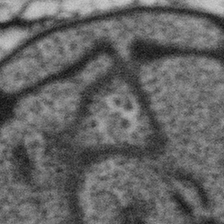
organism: Gemmata obscuriglobus